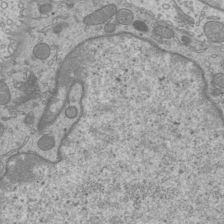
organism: Mouse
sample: Cilia; mouse epididymis